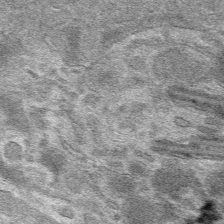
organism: Mouse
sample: Mouse hepatocytes